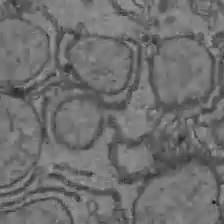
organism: C57BL Mouse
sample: Liver